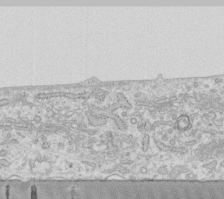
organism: Human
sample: Fibroblast cells